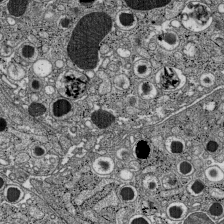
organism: C57BL Mouse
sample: Pancreatic islet